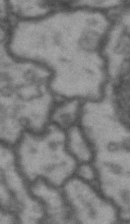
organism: Drosophila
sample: Brain